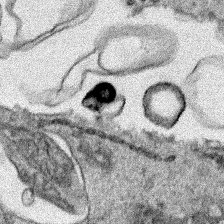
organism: Human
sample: Mitochondria in HCT116 cells